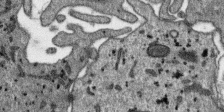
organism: Human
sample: Lung epithelial cells, uninfected (mock) control